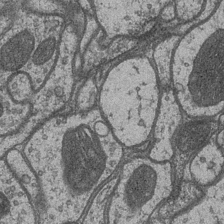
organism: Drosophila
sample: Optic medulla